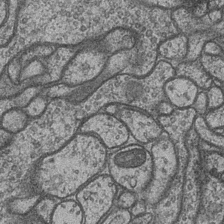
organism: Drosophila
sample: Optic medulla